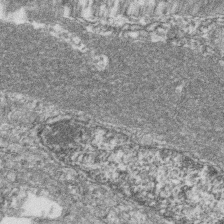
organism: Zebrafish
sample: Cilia; retinal pigment epithelium